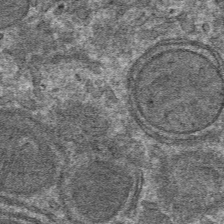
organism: Mouse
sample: Mouse hepatocytes